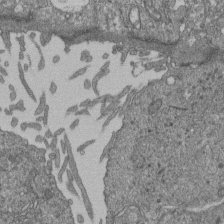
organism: Human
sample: Retinal organoid Rod and Cone cells